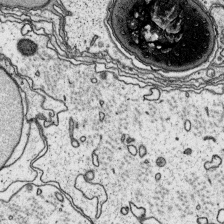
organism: Platynereis dumerilii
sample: Parapodia